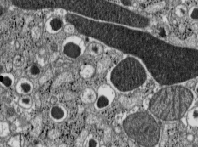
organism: C57BL Mouse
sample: Pancreatic islet